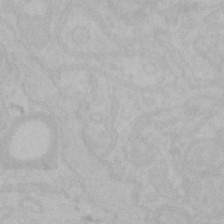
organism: Mouse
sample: Choroid plexus